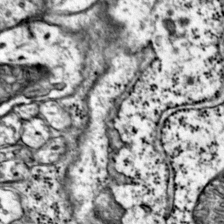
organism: Mouse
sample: Primary visual cortex